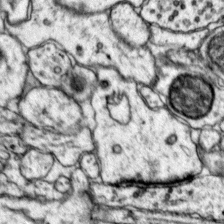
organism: Mouse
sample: Primary visual cortex